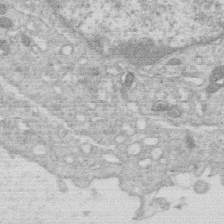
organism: Human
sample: Macrophage cells